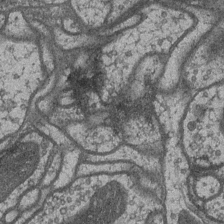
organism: Drosophila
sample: Optic medulla